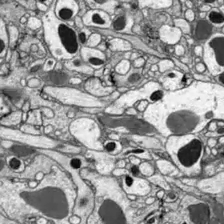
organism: Drosophila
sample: Optic lobe